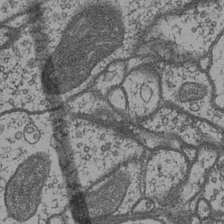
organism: Drosophila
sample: Optic medulla